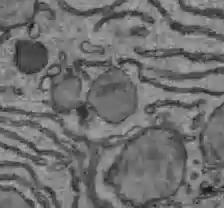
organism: C57BL Mouse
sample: Liver